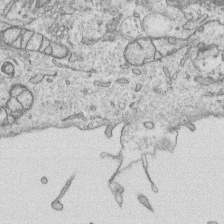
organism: Human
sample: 1205lu cells